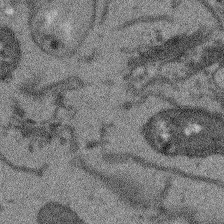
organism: Arabidopsis thaliana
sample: Root tip